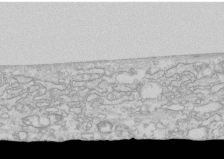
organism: Human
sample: CRL-1474